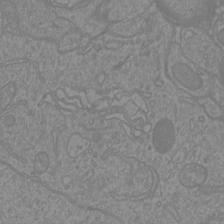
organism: Mouse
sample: Cortical neurons